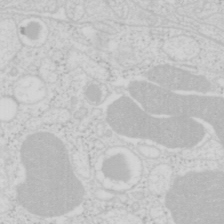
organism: Mouse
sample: Pancreas